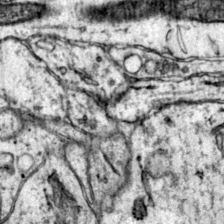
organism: Mouse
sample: Primary visual cortex